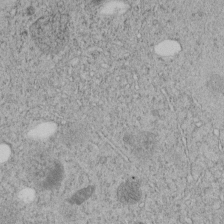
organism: C. elegans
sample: C. elegans embryo early stage